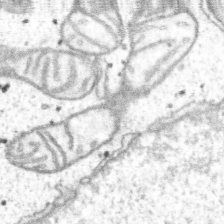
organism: Human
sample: HeLa cells